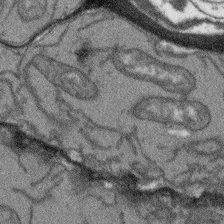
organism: Arabidopsis thaliana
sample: Root tip